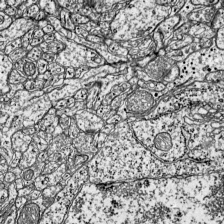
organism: Mouse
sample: Visual Cortex